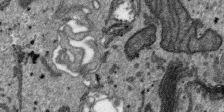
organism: Human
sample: Lung epithelial cells, uninfected (mock) control